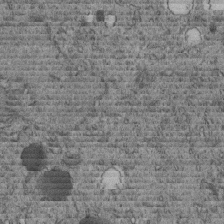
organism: C. elegans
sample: C. elegans embryo early stage